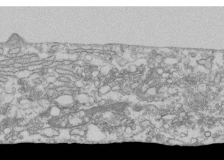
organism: Human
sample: Fibroblast cells